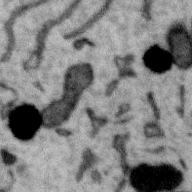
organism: Zebra finch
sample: Brain